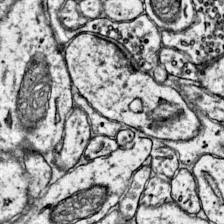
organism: Mouse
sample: Primary visual cortex